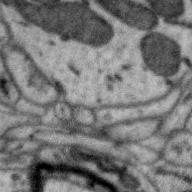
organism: Zebra finch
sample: Brain